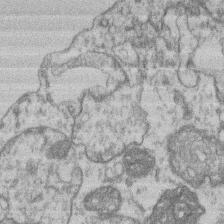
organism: Mouse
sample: T cell stromal cell synapse